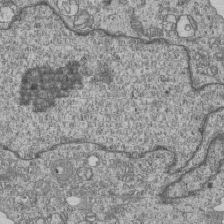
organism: Human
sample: MDA-MB-231 cells